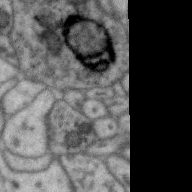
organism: Zebra finch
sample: Brain